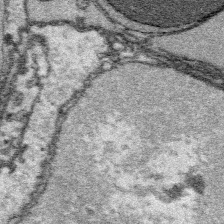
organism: Platynereis dumerilii